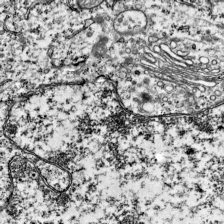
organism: Mouse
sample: Visual Cortex